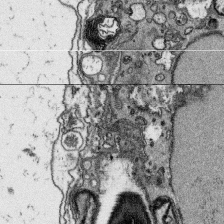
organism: Platynereis dumerilii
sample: Parapodia